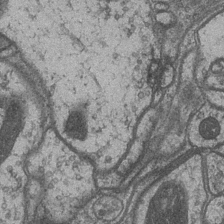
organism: Drosophila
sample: Optic medulla